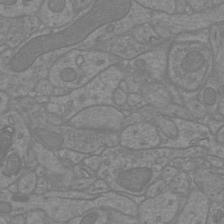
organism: Mouse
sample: Cortical neurons